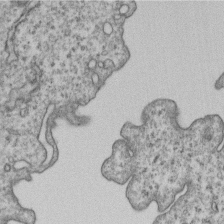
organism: Human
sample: MDA-MB-231 cells